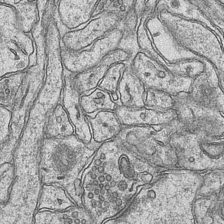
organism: Mouse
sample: CA1 Hippocampus